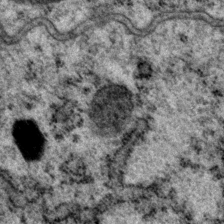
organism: P. pacificus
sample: Pharynx